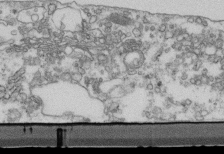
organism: Mouse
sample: Cilia; retinal pigment epithelium